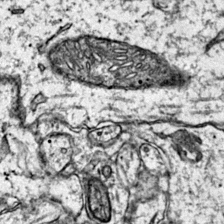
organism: Mouse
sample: Primary visual cortex